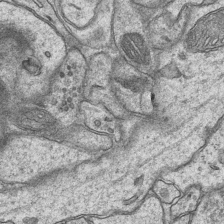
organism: Mouse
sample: CA1 Hippocampus